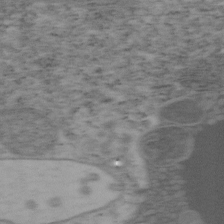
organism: Mouse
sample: OT-I killer T cells with ID8 ovarian cancer cells